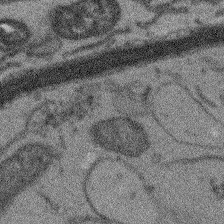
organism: Arabidopsis thaliana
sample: Root tip